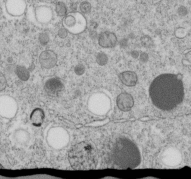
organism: C. elegans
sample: C. elegans embryo early stage